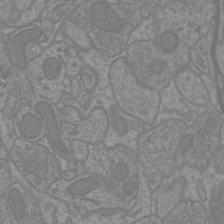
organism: Mouse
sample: Cortical neurons